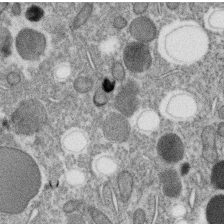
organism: C. elegans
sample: C. elegans oocyte; sperm cells